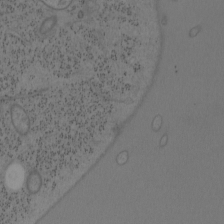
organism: Mouse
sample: OT-I killer T cells with ID8 ovarian cancer cells